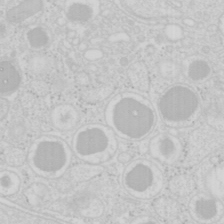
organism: Mouse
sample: Pancreas